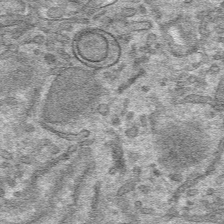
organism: Mouse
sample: Mouse hepatocytes